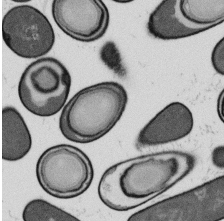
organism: B. subtilis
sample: Bacterial spore